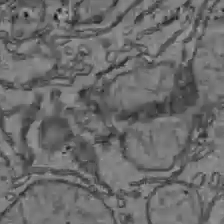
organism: C57BL Mouse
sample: Liver